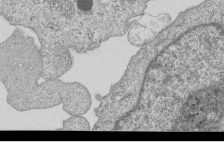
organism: Human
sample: MDA-MB-231 cells